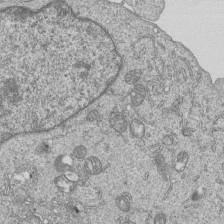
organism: Human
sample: MDA-MB-231 cells